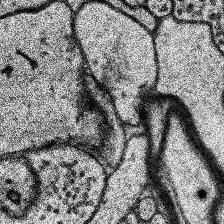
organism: Human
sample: Temporal Lobe